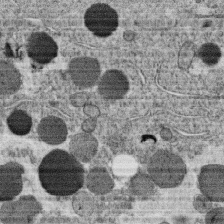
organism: C. elegans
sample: C. elegans oocyte; sperm cells